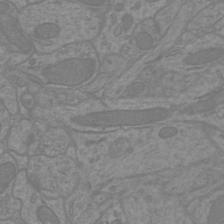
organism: Mouse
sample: Cortical neurons